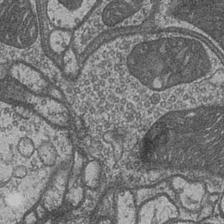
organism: Drosophila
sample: Optic medulla